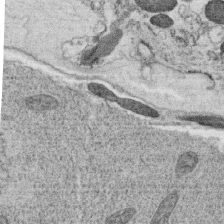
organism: C. elegans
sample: C. elegans oocyte; sperm cells